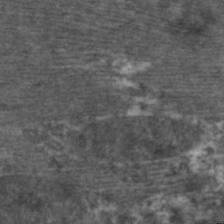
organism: C. elegans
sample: Pharynx